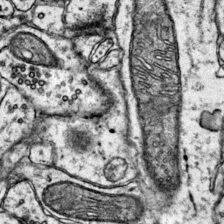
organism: Mouse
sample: Primary visual cortex